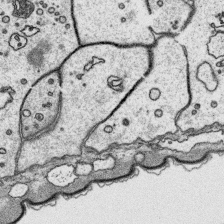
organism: Platynereis dumerilii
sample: Parapodia